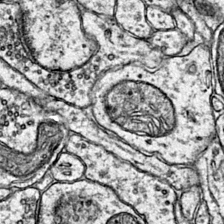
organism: Mouse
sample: Primary visual cortex